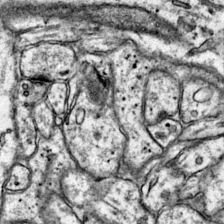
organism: Mouse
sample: Primary visual cortex